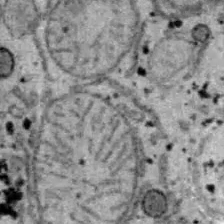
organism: Mouse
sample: Liver from an obese (ob/ob) mouse